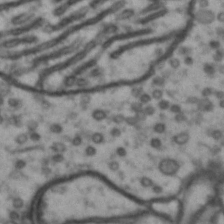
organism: Drosophila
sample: Brain